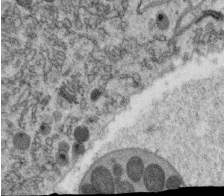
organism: C. elegans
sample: C. elegans oocyte; sperm cells